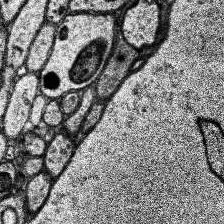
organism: Human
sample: Temporal Lobe